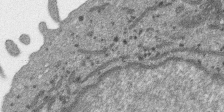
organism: Human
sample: Lung epithelial cells infected with SARS-CoV-2